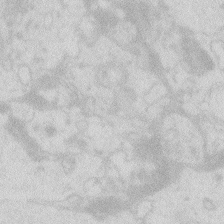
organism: Zebrafish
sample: Macrophage